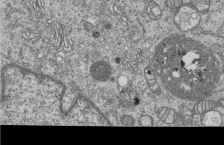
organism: Human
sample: MDA-MB-231 cells